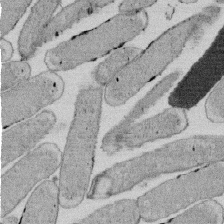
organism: E. coli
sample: Bacterial nucleoid